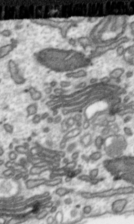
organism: Toxoplasma gondii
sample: Parasites in a vacuole inside a host cell